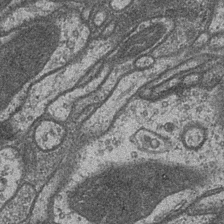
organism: Drosophila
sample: Optic medulla